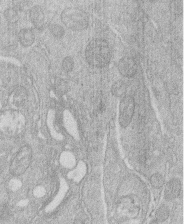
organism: Human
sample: Macrophage cells